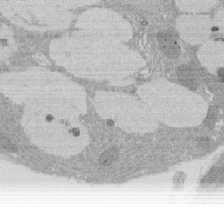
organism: Rat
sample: Salivary granule